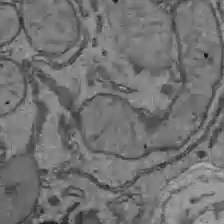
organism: C57BL Mouse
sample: Liver